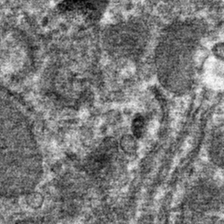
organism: Mouse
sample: Mouse hepatocytes